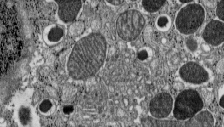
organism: C57BL Mouse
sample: Pancreatic islet